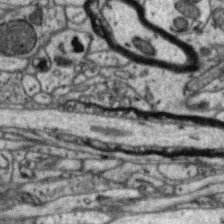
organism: Zebra finch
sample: Brain